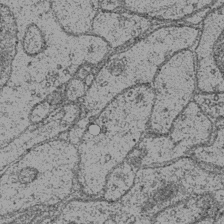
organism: Drosophila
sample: Optic medulla